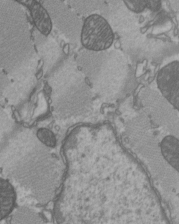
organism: C57BL Mouse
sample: Heart